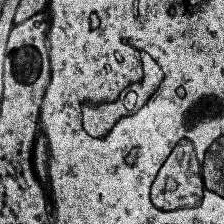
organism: Human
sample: Temporal Lobe